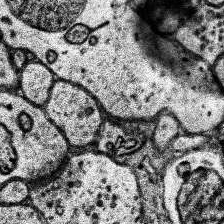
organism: Human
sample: Temporal Lobe